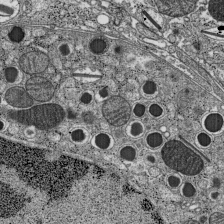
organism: C57BL Mouse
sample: Pancreatic islet